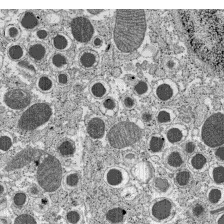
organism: C57BL Mouse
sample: Pancreatic islet